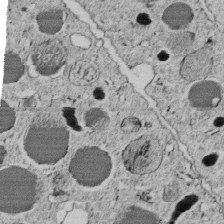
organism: C. elegans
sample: C. elegans embryo early stage